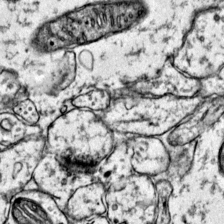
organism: Mouse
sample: Primary visual cortex